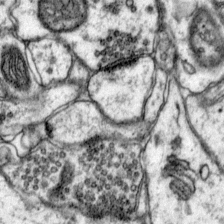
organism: Mouse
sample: Primary visual cortex